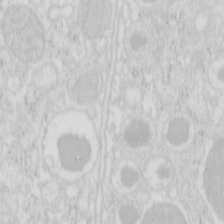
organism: Mouse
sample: Pancreas